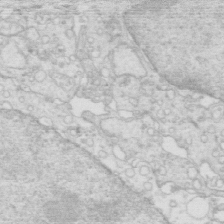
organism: Mouse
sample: Multiciliated cells